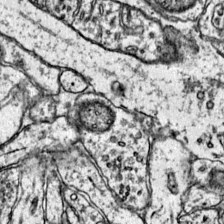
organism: Mouse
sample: Primary visual cortex